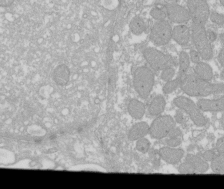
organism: Xenopus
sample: Cilia; centrioles in frog embryo cells